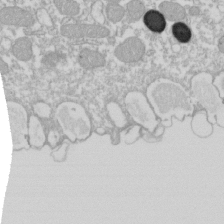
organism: Xenopus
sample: Cilia; centrioles in frog embryo cells